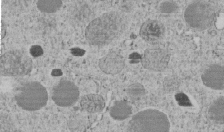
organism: C. elegans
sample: C. elegans embryo early stage